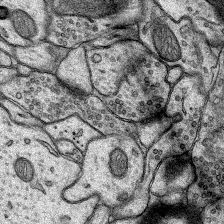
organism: Rat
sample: Hippocampus